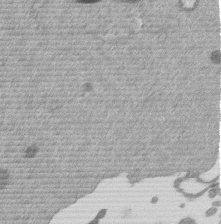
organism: Mouse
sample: Dividing mouse embryo 1 cell stage